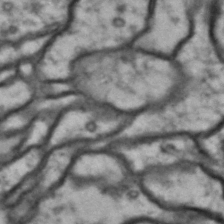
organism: Drosophila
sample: Brain